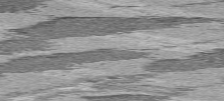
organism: C57BL Mouse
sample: Heart